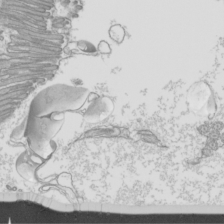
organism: Mouse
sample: Cilia; mouse epididymis